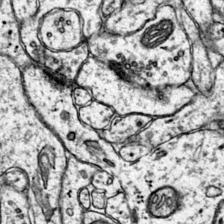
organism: Mouse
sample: Primary visual cortex